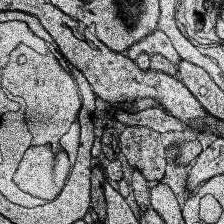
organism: Human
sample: Temporal Lobe